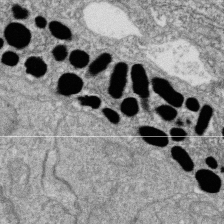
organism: Zebrafish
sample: Cilia; retinal pigment epithelium